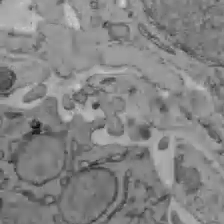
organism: C57BL Mouse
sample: Liver